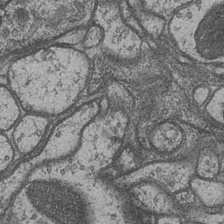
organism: Drosophila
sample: Optic medulla